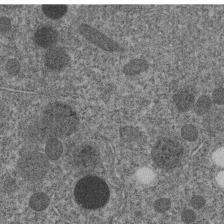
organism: C. elegans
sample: C. elegans embryo early stage